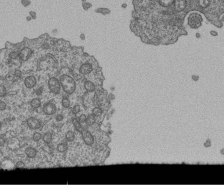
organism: Human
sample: Retinal organoid Rod and Cone cells